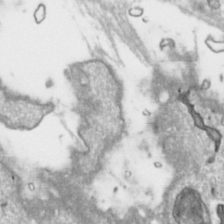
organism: Toxoplasma gondii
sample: Parasites in a vacuole inside a host cell